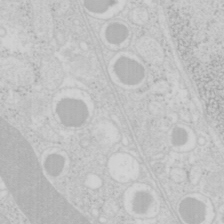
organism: Mouse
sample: Pancreas